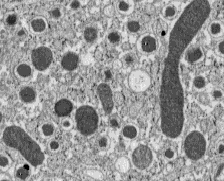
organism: C57BL Mouse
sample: Pancreatic islet